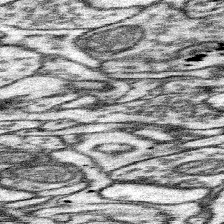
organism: Mouse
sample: Somatosensory cortex neuropil